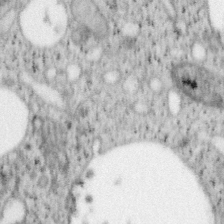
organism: Mouse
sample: OT-I killer T cells with ID8 ovarian cancer cells